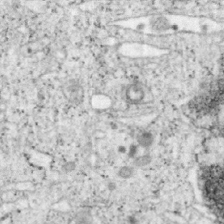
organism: Mouse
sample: OT-I killer T cells with ID8 ovarian cancer cells